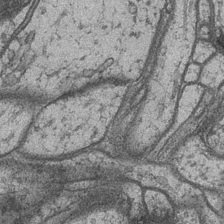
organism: Drosophila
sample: Optic medulla